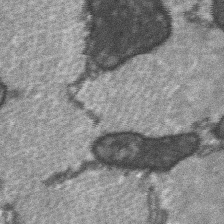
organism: C57BL Mouse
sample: Soleus